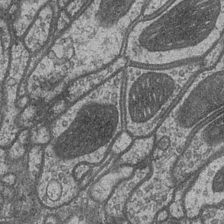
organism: Drosophila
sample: Optic medulla